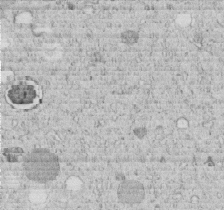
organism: C. elegans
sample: C. elegans embryo early stage